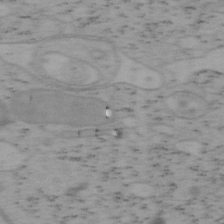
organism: Mouse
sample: OT-I killer T cells with ID8 ovarian cancer cells